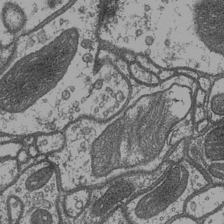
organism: Drosophila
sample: Optic medulla